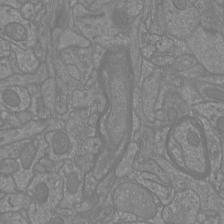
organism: Mouse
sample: Cortical neurons